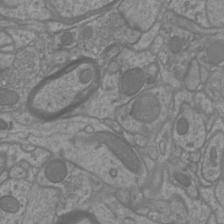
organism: Mouse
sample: Cortical neurons